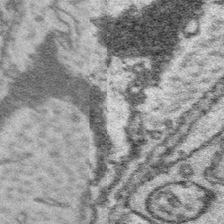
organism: Platynereis dumerilii